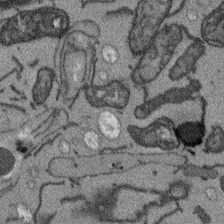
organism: Arabidopsis thaliana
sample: Root tip